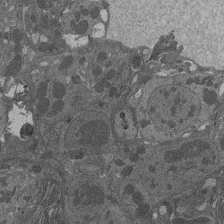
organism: Drosophila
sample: Antenna